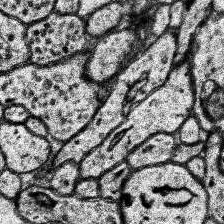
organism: Human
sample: Temporal Lobe